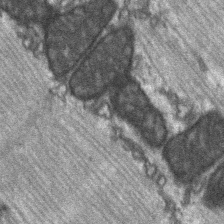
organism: C57BL Mouse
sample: Soleus